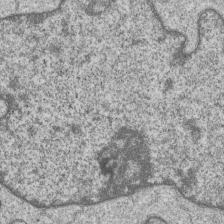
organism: Human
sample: MDA-MB-231 cells